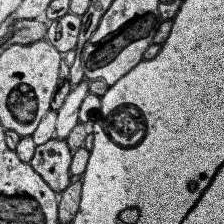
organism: Human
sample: Temporal Lobe